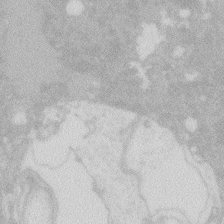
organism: Zebrafish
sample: Macrophage